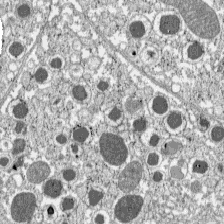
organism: C57BL Mouse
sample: Pancreatic islet